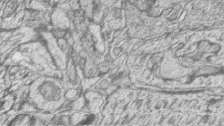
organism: Zebrafish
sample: synaptic ribbons in rod cells and cone cells